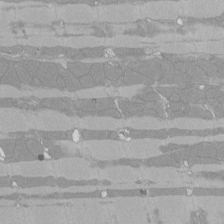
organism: Rat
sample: Left ventricle